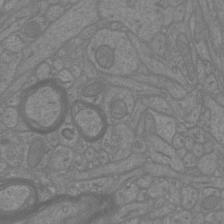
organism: Mouse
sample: Cortical neurons